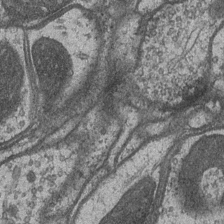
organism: Drosophila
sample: Optic medulla